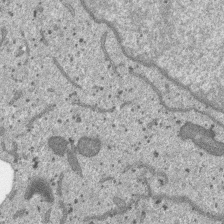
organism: Human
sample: Lung epithelial cells infected with SARS-CoV-2